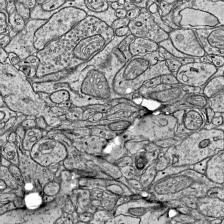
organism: Mouse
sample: Visual Cortex